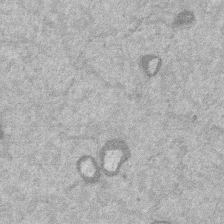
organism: Mouse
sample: Dividing mouse embryo 1 cell stage